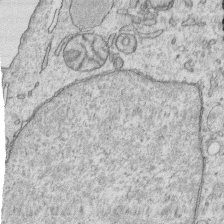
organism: Human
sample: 1205lu cells